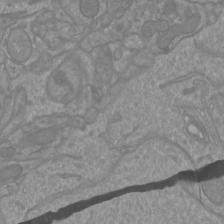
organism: Mouse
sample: Cortical neurons